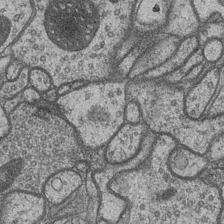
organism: Drosophila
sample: Optic medulla